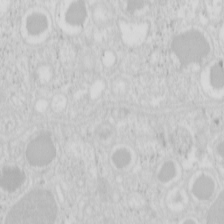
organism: Mouse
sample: Pancreas